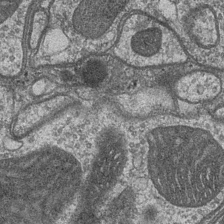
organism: Drosophila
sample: Optic medulla